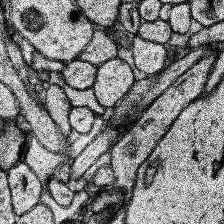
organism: Human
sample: Temporal Lobe